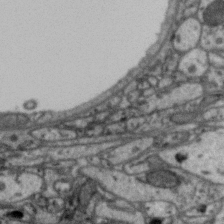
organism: Zebra finch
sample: Brain